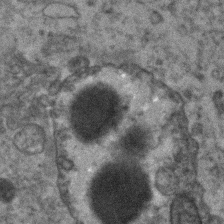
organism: Human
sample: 1205lu cells